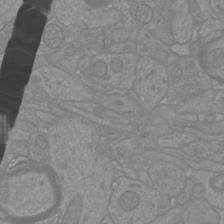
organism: Mouse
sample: Cortical neurons